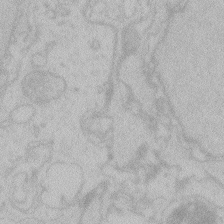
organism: Zebrafish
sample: Macrophage infected with Toxoplasma gondii